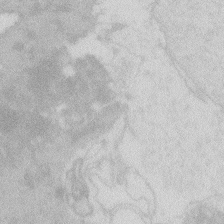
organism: Zebrafish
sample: Macrophage